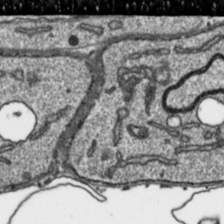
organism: Toxoplasma gondii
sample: Parasites in a vacuole inside a host cell